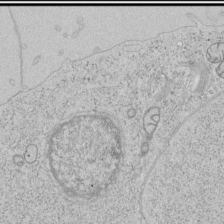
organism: Human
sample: Mitochondria in HCT116 cells